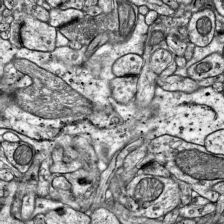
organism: Mouse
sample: Visual Cortex